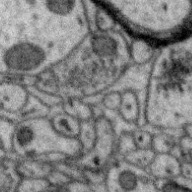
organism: Zebra finch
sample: Brain